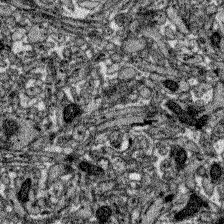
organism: Zebrafish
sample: Larval olfactory bulb